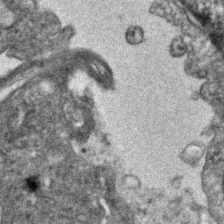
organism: Human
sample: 1205lu cells